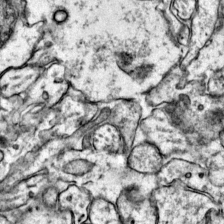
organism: Mouse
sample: Primary visual cortex